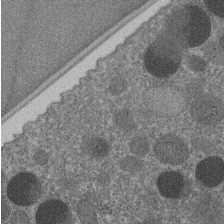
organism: C. elegans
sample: C. elegans embryo early stage